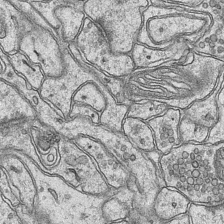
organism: Mouse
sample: CA1 Hippocampus